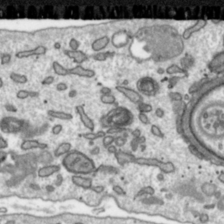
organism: Toxoplasma gondii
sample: Parasites in a vacuole inside a host cell